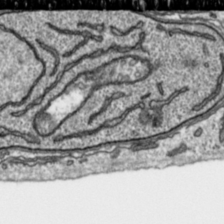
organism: Toxoplasma gondii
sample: Parasites in a vacuole inside a host cell